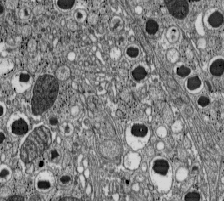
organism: C57BL Mouse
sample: Pancreatic islet